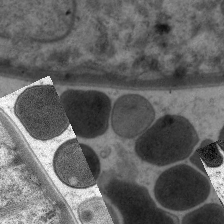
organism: C. elegans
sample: Pharynx